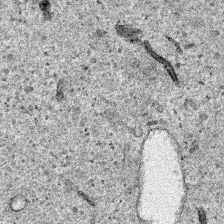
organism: Human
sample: Mitochondria in HCT116 cells